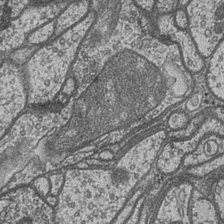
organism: Drosophila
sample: Optic medulla